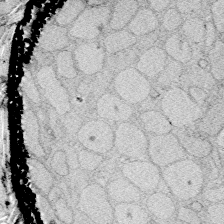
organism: Zebrafish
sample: Whole-Brain